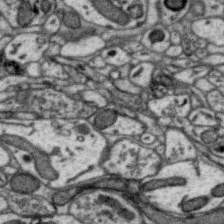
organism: Zebra finch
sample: Brain